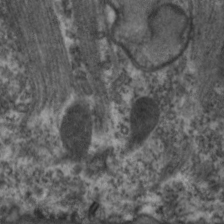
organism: C. elegans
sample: Pharynx